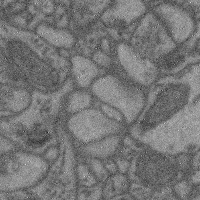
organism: Mouse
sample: Cerebral cortex